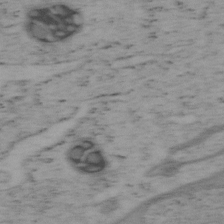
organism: Mouse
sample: OT-I killer T cells with ID8 ovarian cancer cells